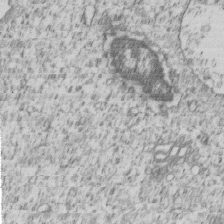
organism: Human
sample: MDA-MB-231 cells